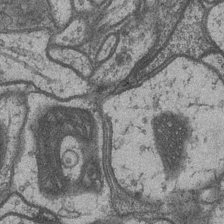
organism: Drosophila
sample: Optic medulla